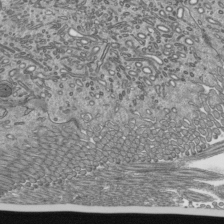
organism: Mouse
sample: Mouse epididymis efferent ductule cilia